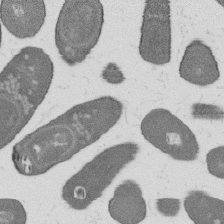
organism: B. subtilis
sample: Bacterial spore